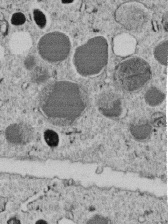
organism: C. elegans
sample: C. elegans embryo early stage